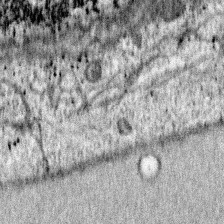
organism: Human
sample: HeLa cells